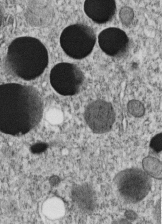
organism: C. elegans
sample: C. elegans embryo early stage